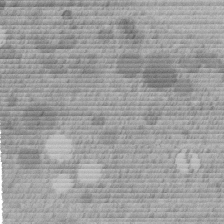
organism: C. elegans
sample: C. elegans embryo early stage